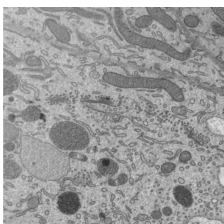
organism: Mouse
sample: Mouse epididymis efferent ductule cilia